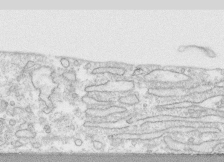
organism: Human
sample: CRL-1474